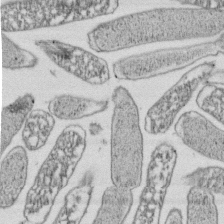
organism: E. coli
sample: Bacterial nucleoid